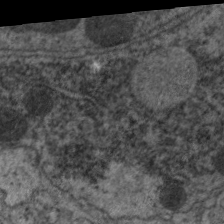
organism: C. elegans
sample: Pharynx